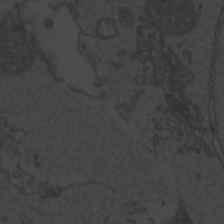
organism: Zebrafish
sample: Macrophage infected with Toxoplasma gondii